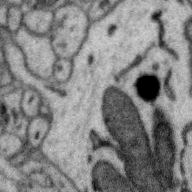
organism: Zebra finch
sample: Brain